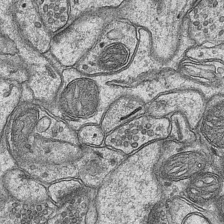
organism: Mouse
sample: CA1 Hippocampus